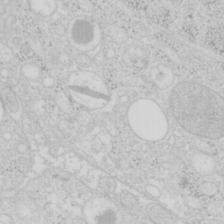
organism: Mouse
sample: Pancreas